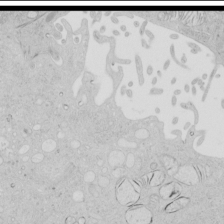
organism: Human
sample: Mitochondria in HCT116 cells